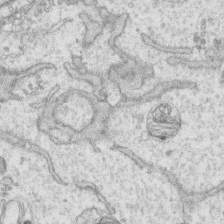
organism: Human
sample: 1205lu cells